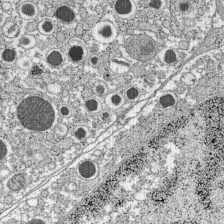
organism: C57BL Mouse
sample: Pancreatic islet